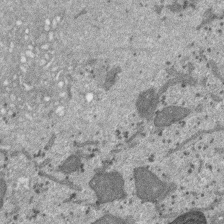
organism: Human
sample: Lung epithelial cells infected with SARS-CoV-2